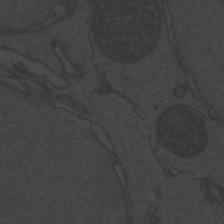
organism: Zebrafish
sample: Macrophage infected with Toxoplasma gondii